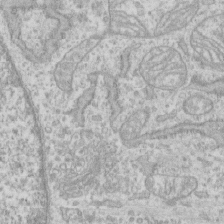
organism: Human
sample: CRL-1474